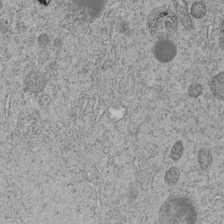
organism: C. elegans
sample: C. elegans embryo early stage